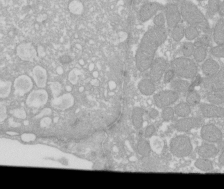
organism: Xenopus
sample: Cilia; centrioles in frog embryo cells